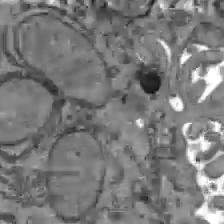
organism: C57BL Mouse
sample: Liver